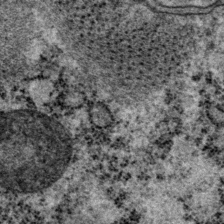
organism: P. pacificus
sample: Pharynx